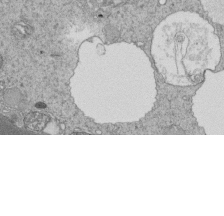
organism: Tetrahymena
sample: Cilia in tetrahymena